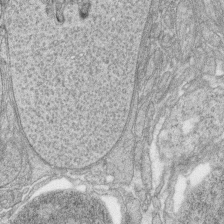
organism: Zebrafish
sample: synaptic ribbons in rod cells and cone cells